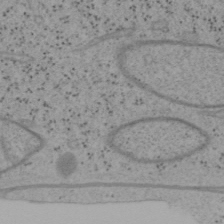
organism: Human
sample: HeLa cells